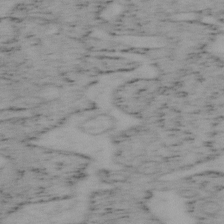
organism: Mouse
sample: OT-I killer T cells with ID8 ovarian cancer cells